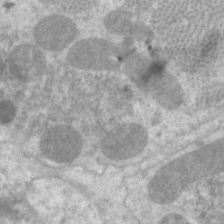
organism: C. elegans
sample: Pharynx